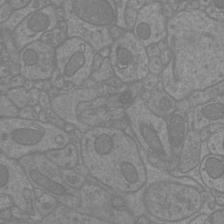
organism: Mouse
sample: Cortical neurons